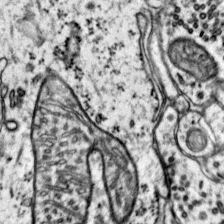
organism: Mouse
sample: Primary visual cortex